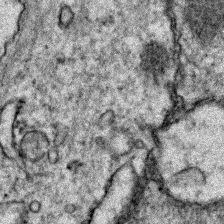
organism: Zebrafish